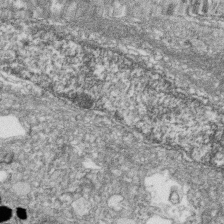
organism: Zebrafish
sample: Cilia; retinal pigment epithelium